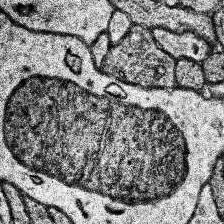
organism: Human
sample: Temporal Lobe